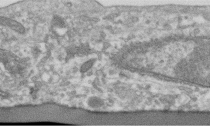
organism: Human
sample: Centriole in RPE cells